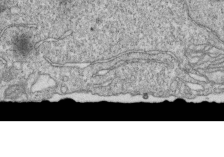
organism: Human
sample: HeLa cell HIV synapse